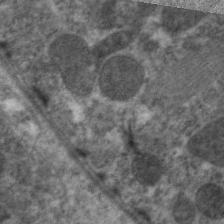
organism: C. elegans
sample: Pharynx